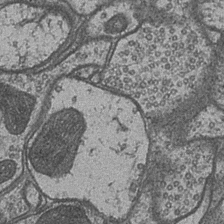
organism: Drosophila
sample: Optic medulla